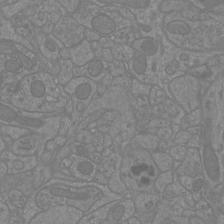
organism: Mouse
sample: Cortical neurons